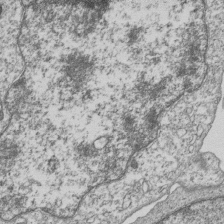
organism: Human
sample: MDA-MB-231 cells